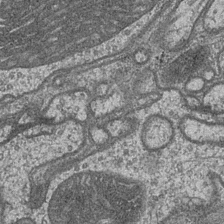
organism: Drosophila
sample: Optic medulla